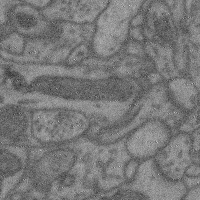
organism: Mouse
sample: Cerebral cortex